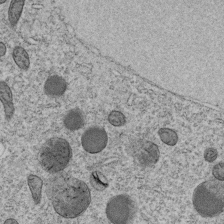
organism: C. elegans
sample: C. elegans embryo early stage